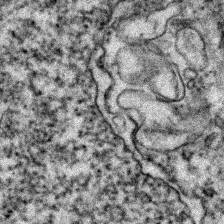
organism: Zebrafish